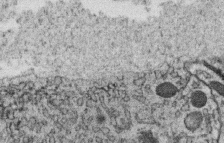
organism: C. elegans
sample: C. elegans oocyte; sperm cells